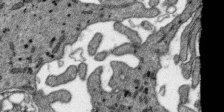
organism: Human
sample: Lung epithelial cells, uninfected (mock) control